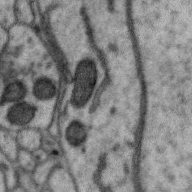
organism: Zebra finch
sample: Brain